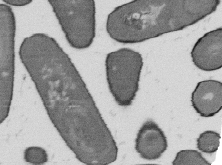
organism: B. subtilis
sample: Bacterial spore